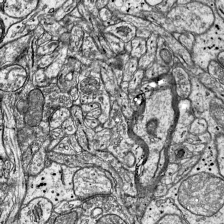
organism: Mouse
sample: Visual Cortex